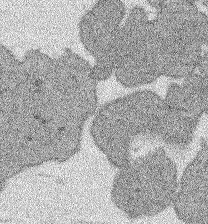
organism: Human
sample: HeLa cells